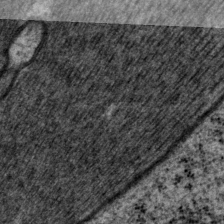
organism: P. pacificus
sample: Pharynx